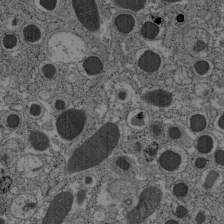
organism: C57BL Mouse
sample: Pancreatic islet